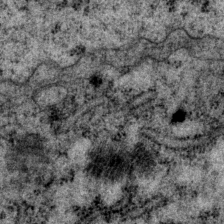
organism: P. pacificus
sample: Pharynx